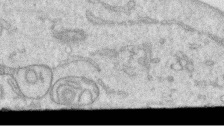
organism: Human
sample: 1205lu cells